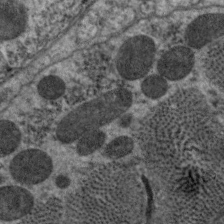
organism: C. elegans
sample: Pharynx